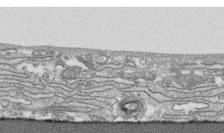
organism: Human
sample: CRL-1474